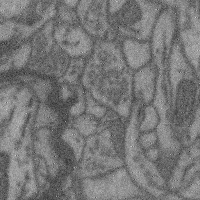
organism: Mouse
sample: Cerebral cortex